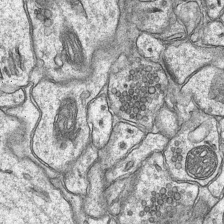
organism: Mouse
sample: CA1 Hippocampus